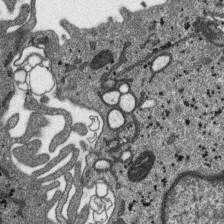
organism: Human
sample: Lung epithelial cells infected with SARS-CoV-2